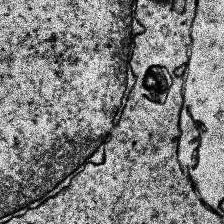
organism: Human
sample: Temporal Lobe